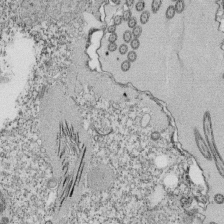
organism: Tetrahymena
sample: Cilia in tetrahymena